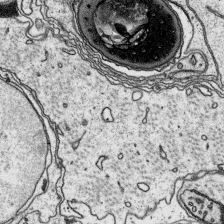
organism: Platynereis dumerilii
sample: Parapodia